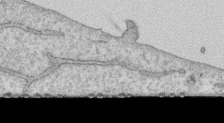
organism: Human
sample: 1205lu cells